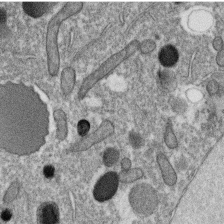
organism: C. elegans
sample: C. elegans oocyte; sperm cells